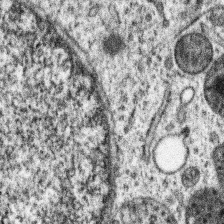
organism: Human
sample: HeLa cells